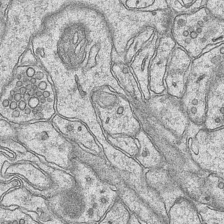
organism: Mouse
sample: CA1 Hippocampus